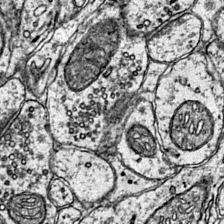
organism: Mouse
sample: Primary visual cortex